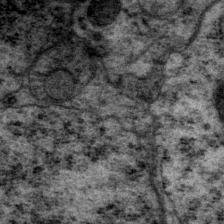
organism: P. pacificus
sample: Pharynx